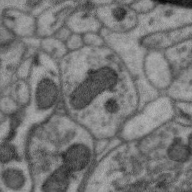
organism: Zebra finch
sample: Brain